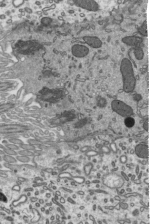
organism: Mouse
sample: Mouse epididymis efferent ductule cilia